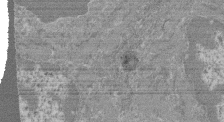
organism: Mouse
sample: Glomerulus